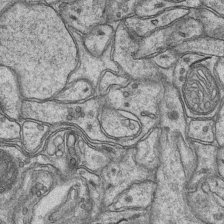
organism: Mouse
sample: CA1 Hippocampus